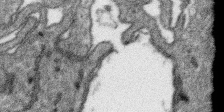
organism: Human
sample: Lung epithelial cells infected with SARS-CoV-2